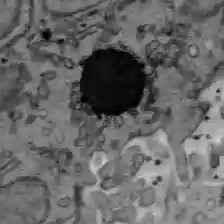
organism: C57BL Mouse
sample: Liver